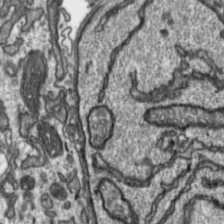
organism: Toxoplasma gondii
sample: Parasites in a vacuole inside a host cell